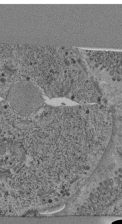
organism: C. elegans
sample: C. elegans pharynx